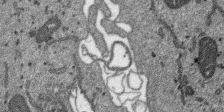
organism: Human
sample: Lung epithelial cells infected with SARS-CoV-2